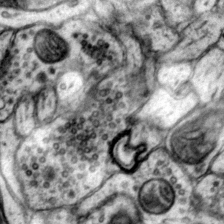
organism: Mouse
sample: Primary visual cortex